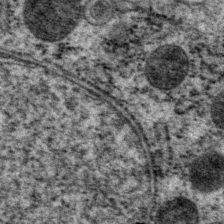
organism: P. pacificus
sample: Pharynx